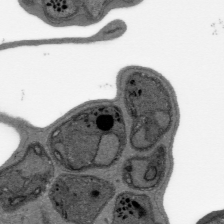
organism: Plasmodium falciparum